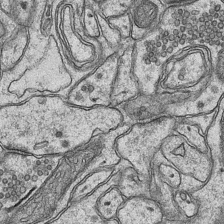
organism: Mouse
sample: CA1 Hippocampus